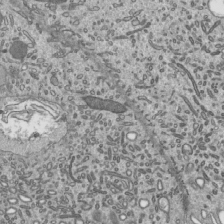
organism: Mouse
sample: Mouse epididymis efferent ductule cilia